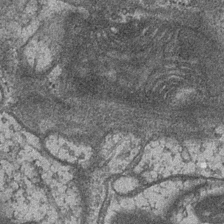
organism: Drosophila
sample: Optic medulla